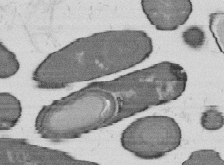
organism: B. subtilis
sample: Bacterial spore